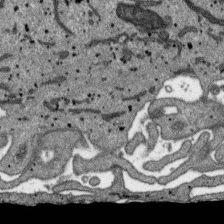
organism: Human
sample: Lung epithelial cells, uninfected (mock) control